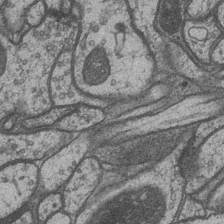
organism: Drosophila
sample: Optic medulla